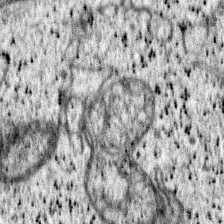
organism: Human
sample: HeLa cells